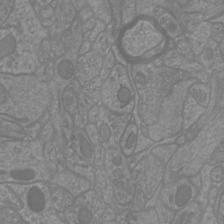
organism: Mouse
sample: Cortical neurons